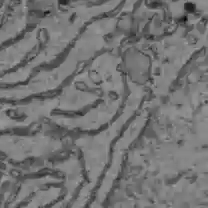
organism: C57BL Mouse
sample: Liver